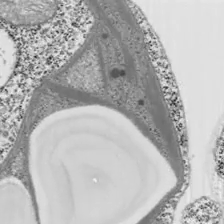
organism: Chlamydomonas reinhardtii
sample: Whole Cell